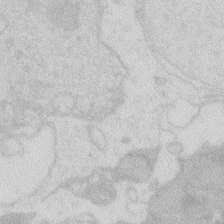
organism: Zebrafish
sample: Macrophage